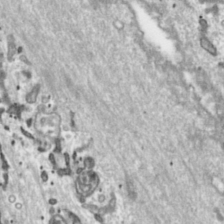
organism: Toxoplasma gondii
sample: Parasites in a vacuole inside a host cell